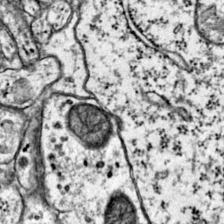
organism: Mouse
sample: Primary visual cortex